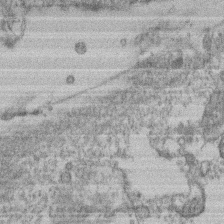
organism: Mouse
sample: T cell stromal cell synapse